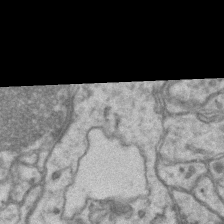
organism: Mouse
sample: CA1 Hippocampus